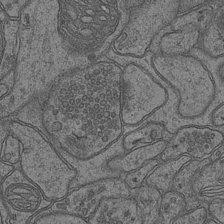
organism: Mouse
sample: CA1 Hippocampus